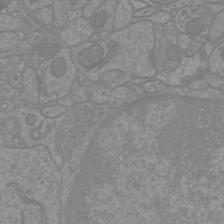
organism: Mouse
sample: Cortical neurons